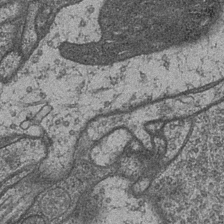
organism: Drosophila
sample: Optic medulla